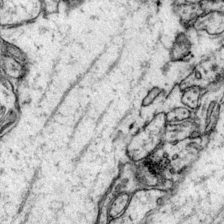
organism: Mouse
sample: Primary visual cortex